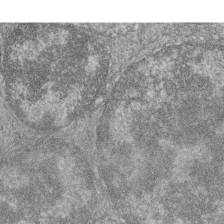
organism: Zebrafish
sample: Cilia; retinal pigment epithelium